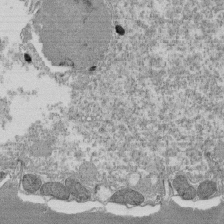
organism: Tetrahymena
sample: Cilia in tetrahymena